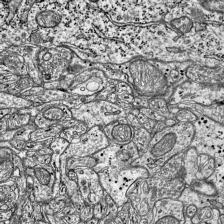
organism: Mouse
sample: Visual Cortex